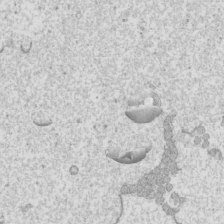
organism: Mouse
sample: Cilia; mouse epididymis